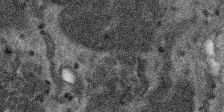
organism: Human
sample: Lung epithelial cells infected with SARS-CoV-2